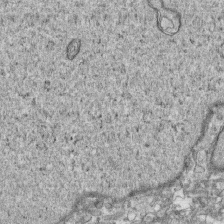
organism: Human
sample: CRL-1474